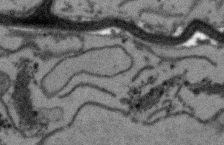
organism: Arabidopsis thaliana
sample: Root tip